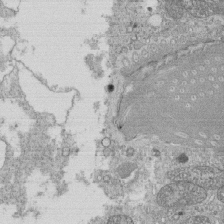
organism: Tetrahymena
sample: Cilia in tetrahymena